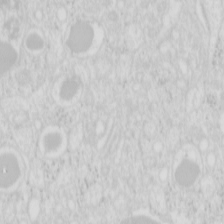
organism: Mouse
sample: Pancreas